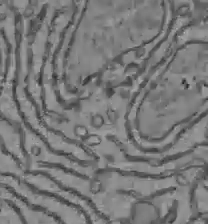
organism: C57BL Mouse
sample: Liver